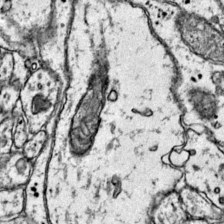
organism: Mouse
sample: Primary visual cortex